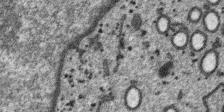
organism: Human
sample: Lung epithelial cells infected with SARS-CoV-2